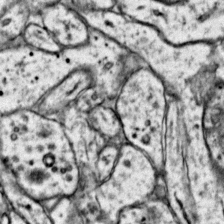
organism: Mouse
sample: Primary visual cortex